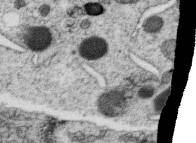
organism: C. elegans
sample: C. elegans oocyte; sperm cells